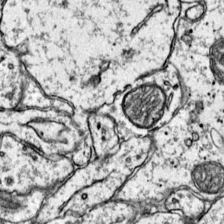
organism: Mouse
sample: Primary visual cortex